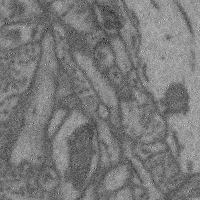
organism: Mouse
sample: Cerebral cortex